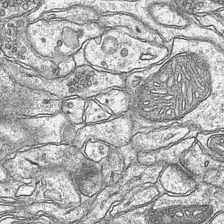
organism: Mouse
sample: CA1 Hippocampus